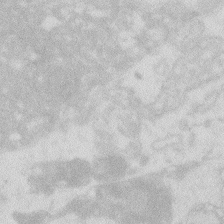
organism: Zebrafish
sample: Macrophage